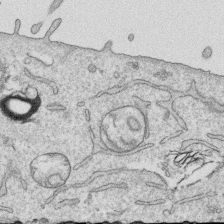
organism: Human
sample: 1205lu cells